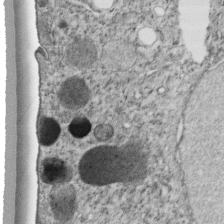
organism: C. elegans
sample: C. elegans embryo early stage